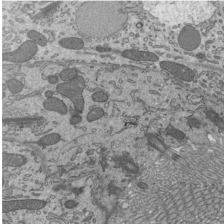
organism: Mouse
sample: Mouse epididymis efferent ductule cilia